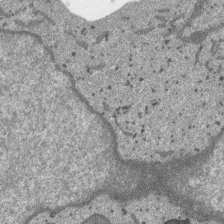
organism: Human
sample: Lung epithelial cells infected with SARS-CoV-2